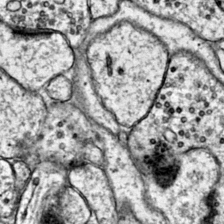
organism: Mouse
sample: Primary visual cortex